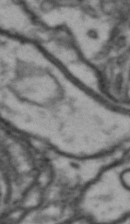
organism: Drosophila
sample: Brain